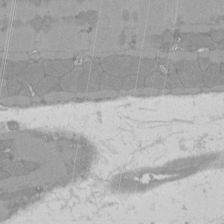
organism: Rat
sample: Left ventricle